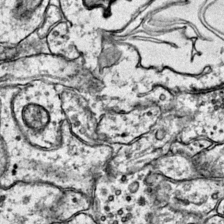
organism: Mouse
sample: Primary visual cortex